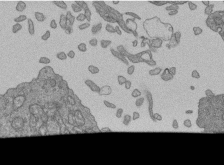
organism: Human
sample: Retinal organoid Rod and Cone cells